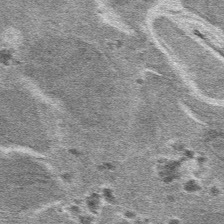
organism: Mouse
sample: Mouse hepatocytes